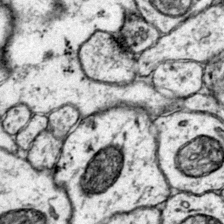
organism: Mouse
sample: Primary visual cortex